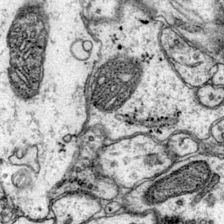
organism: Mouse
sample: Primary visual cortex